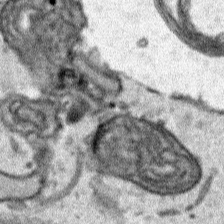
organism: Human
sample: Mitochondria in HCT116 cells